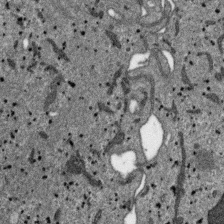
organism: Human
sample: Lung epithelial cells, uninfected (mock) control